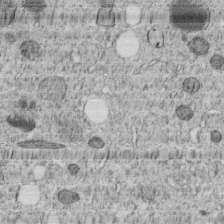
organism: C. elegans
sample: C. elegans embryo early stage